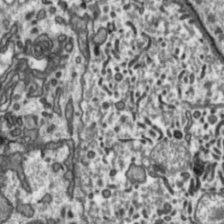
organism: Toxoplasma gondii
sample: Parasites in a vacuole inside a host cell